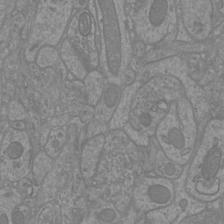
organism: Mouse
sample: Cortical neurons